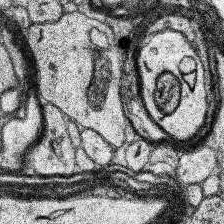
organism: Human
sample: Temporal Lobe